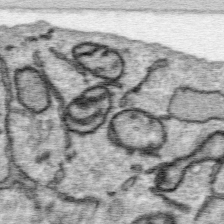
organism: Human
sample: HeLa cells